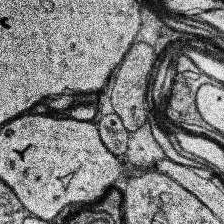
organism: Human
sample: Temporal Lobe